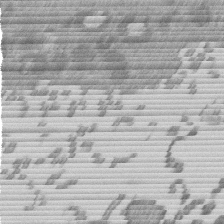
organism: Mouse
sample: Dividing mouse embryo 1 cell stage